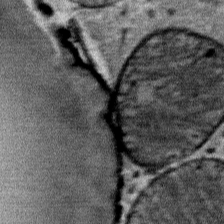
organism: Mouse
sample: Mouse Salivary gland